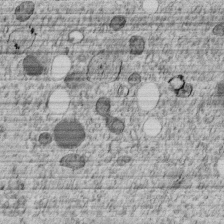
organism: C. elegans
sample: C. elegans embryo early stage